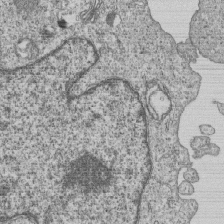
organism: Human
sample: MDA-MB-231 cells